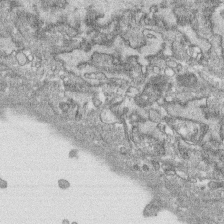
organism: Human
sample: CRL-1474